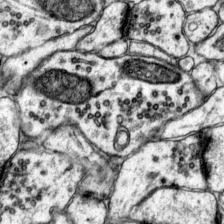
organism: Mouse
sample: Primary visual cortex